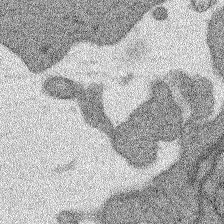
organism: Human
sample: HeLa cells